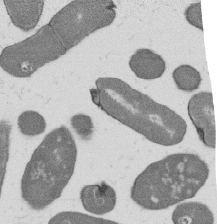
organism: B. subtilis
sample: Bacterial spore